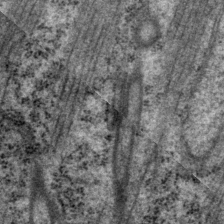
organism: P. pacificus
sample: Pharynx